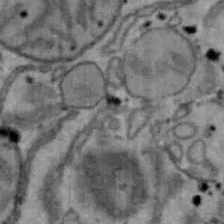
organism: Mouse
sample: Liver